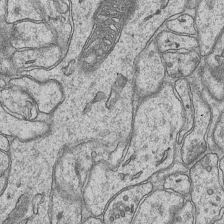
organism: Mouse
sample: CA1 Hippocampus